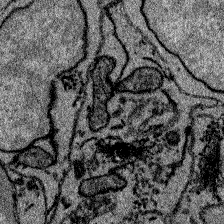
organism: Zebrafish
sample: Larval olfactory bulb